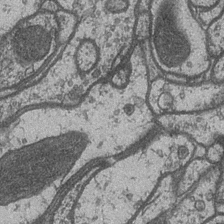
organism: Drosophila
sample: Optic medulla